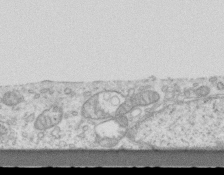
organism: Mouse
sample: Centriole in ependymal cells